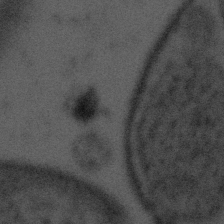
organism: Tuwongella immobilis